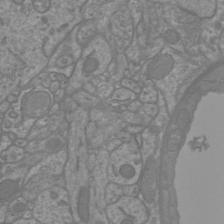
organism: Mouse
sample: Cortical neurons